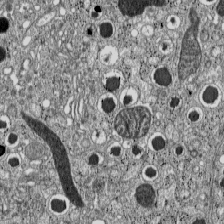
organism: C57BL Mouse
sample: Pancreatic islet